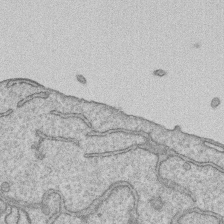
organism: Human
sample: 1205lu cells